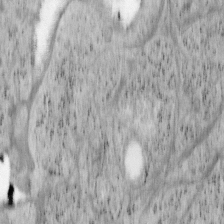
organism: Human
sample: HeLa cells